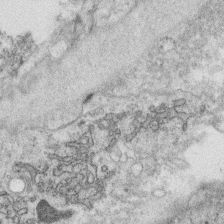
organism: C. elegans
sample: C. elegans oocyte; sperm cells